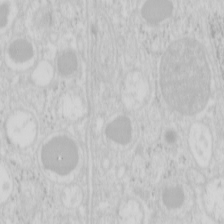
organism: Mouse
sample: Pancreas